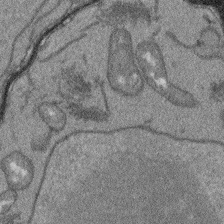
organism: Arabidopsis thaliana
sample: Root tip